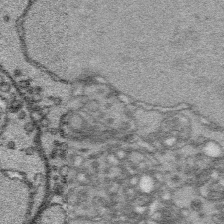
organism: Platynereis dumerilii